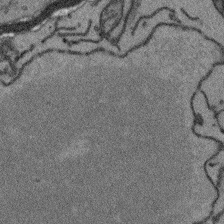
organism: Arabidopsis thaliana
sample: Root tip